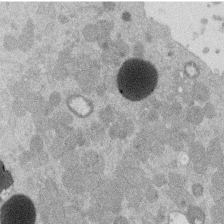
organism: Mouse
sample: Dividing mouse embryo 1 cell stage